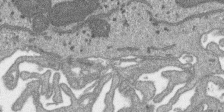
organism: Human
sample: Lung epithelial cells infected with SARS-CoV-2